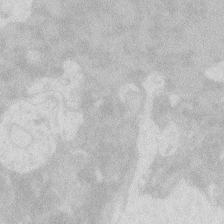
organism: Zebrafish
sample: Macrophage